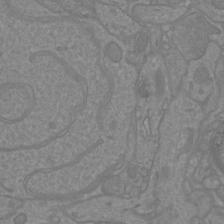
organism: Mouse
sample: Cortical neurons